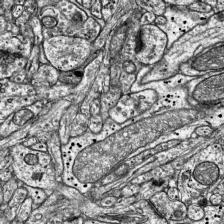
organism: Mouse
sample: Visual Cortex